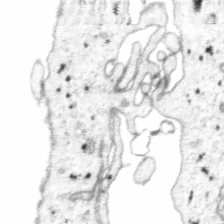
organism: Human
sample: HeLa cells